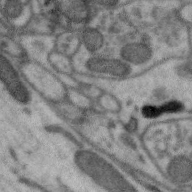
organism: Zebra finch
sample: Brain